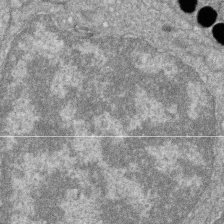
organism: Zebrafish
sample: Cilia; retinal pigment epithelium